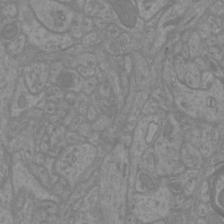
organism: Mouse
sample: Cortical neurons